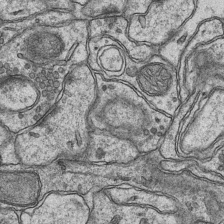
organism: Mouse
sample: CA1 Hippocampus